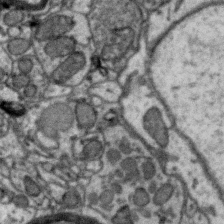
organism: Zebra finch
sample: Brain